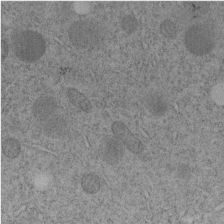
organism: C. elegans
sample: C. elegans embryo early stage